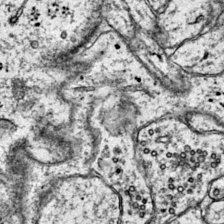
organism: Mouse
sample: Primary visual cortex